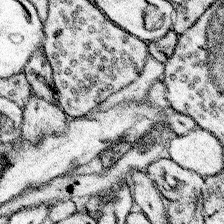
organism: Mouse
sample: Somatosensory cortex neuropil